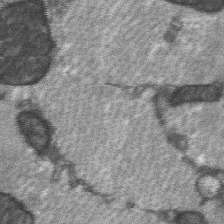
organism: C57BL Mouse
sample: Soleus